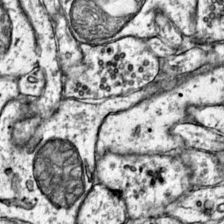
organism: Mouse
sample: Primary visual cortex